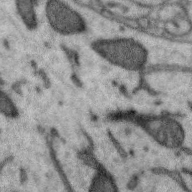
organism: Zebra finch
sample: Brain